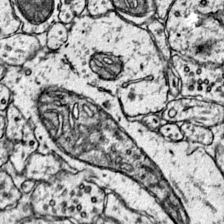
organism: Mouse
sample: Primary visual cortex